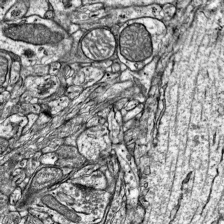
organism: Mouse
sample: Visual Cortex